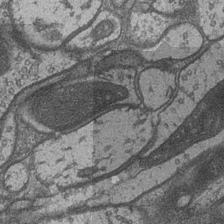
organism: Drosophila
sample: Optic medulla